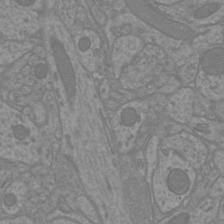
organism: Mouse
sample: Cortical neurons